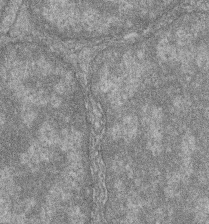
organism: Zebrafish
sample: Cilia; retinal pigment epithelium